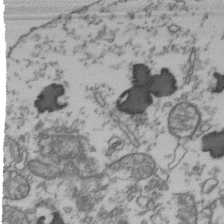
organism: Human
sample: Activated Jurkat CD4+ T cells